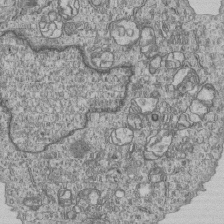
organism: Human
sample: MDA-MB-231 cells